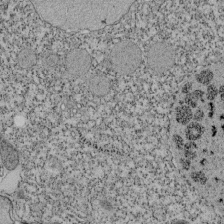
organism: Tetrahymena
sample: Cilia in tetrahymena